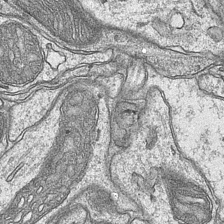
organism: Mouse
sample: CA1 Hippocampus